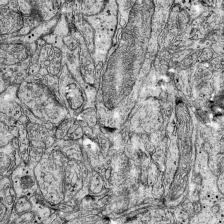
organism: Mouse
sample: Visual Cortex